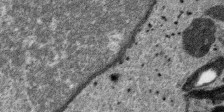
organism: Human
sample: Lung epithelial cells, uninfected (mock) control